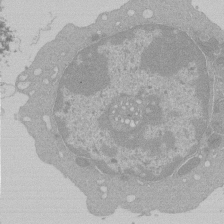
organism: Mouse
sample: Activated Pmel transgenic CD8+ T Cells